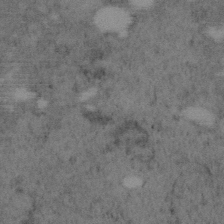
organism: Human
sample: HeLa cells